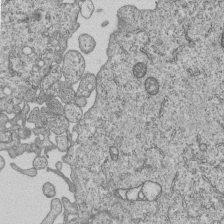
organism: Human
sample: MDA-MB-231 cells